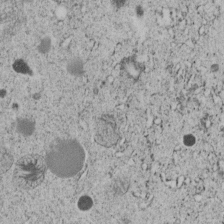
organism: C. elegans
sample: C. elegans embryo early stage